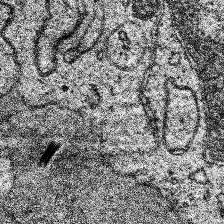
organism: Human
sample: Temporal Lobe